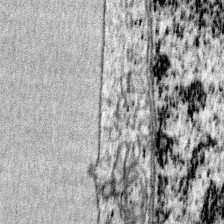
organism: Human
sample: HeLa cells